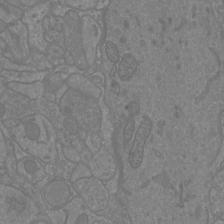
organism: Mouse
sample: Cortical neurons